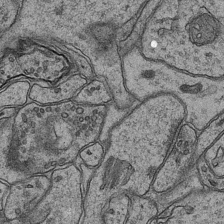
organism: Mouse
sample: CA1 Hippocampus